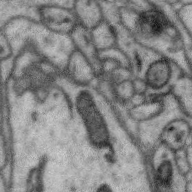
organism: Zebra finch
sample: Brain